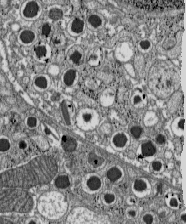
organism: C57BL Mouse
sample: Pancreatic islet